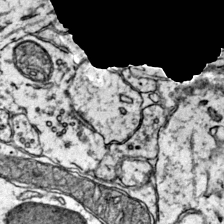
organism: Mouse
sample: Primary visual cortex